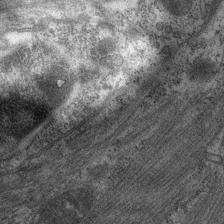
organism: C. elegans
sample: Pharynx